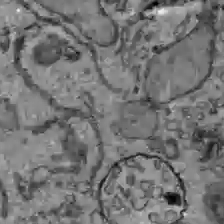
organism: C57BL Mouse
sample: Liver